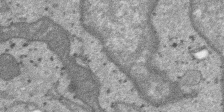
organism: Human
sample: Lung epithelial cells infected with SARS-CoV-2